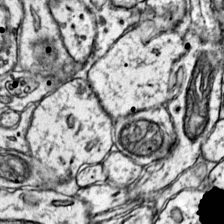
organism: Mouse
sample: Primary visual cortex